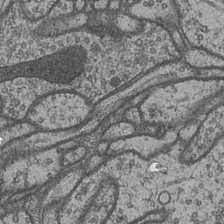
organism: Drosophila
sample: Optic medulla